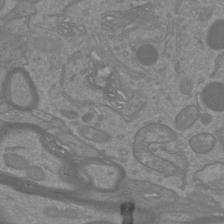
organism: Mouse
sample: Cortical neurons